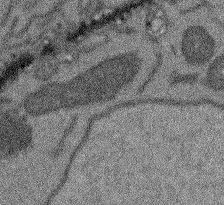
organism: Arabidopsis thaliana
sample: Root tip